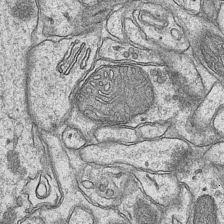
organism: Mouse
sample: CA1 Hippocampus